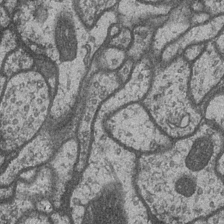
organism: Drosophila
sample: Optic medulla